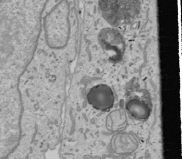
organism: Human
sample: Mitochondria in U2OS cells